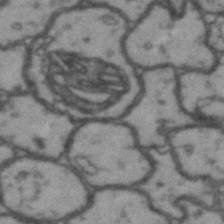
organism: Drosophila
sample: Brain